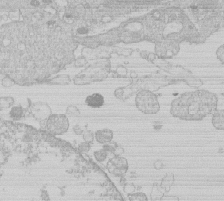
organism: Human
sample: Macrophage cells